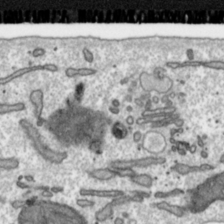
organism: Toxoplasma gondii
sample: Parasites in a vacuole inside a host cell